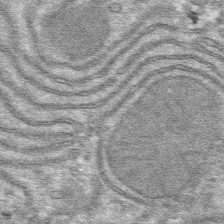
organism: Mouse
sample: Mouse hepatocytes